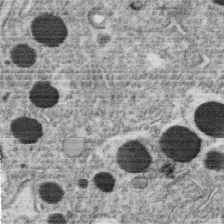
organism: C. elegans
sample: C. elegans oocyte; sperm cells